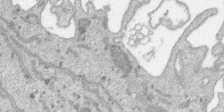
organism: Human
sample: Lung epithelial cells infected with SARS-CoV-2